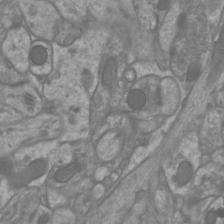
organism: Mouse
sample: Cortical neurons